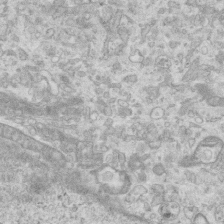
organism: Mouse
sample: Centriole in ependymal cells